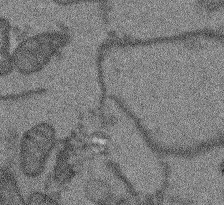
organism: Arabidopsis thaliana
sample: Root tip